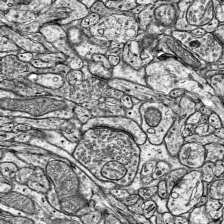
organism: Mouse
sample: Visual Cortex